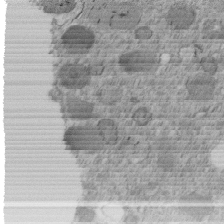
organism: C. elegans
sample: C. elegans embryo early stage